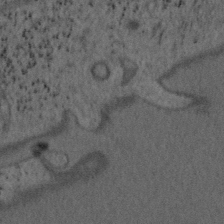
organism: Human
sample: HeLa cells